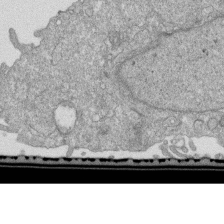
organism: Human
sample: HeLa cell HIV synapse